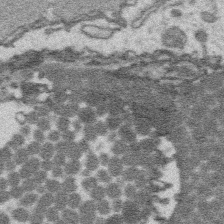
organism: Platynereis dumerilii